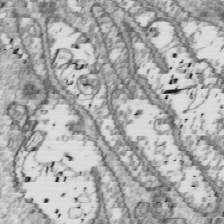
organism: Drosophila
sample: Cell division; meiosis; drosophila spermatocytes